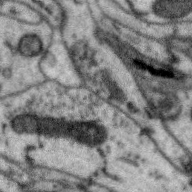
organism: Zebra finch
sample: Brain